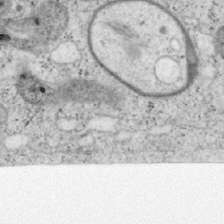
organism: Mouse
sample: OT-I killer T cells with ID8 ovarian cancer cells